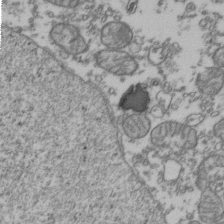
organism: Human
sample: Activated Jurkat CD4+ T cells